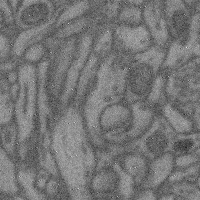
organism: Mouse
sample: Cerebral cortex